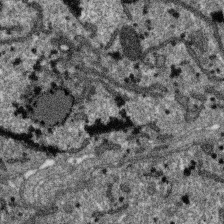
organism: Human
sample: Lung epithelial cells infected with SARS-CoV-2